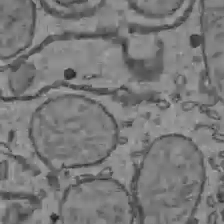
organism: C57BL Mouse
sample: Liver